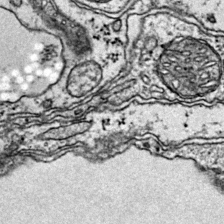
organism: Mouse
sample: Primary visual cortex